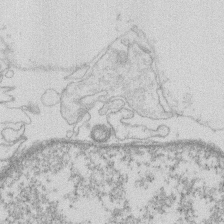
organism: Human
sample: Macrophage cells